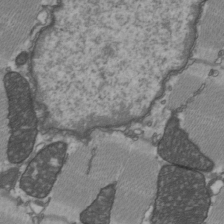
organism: C57BL Mouse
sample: Heart